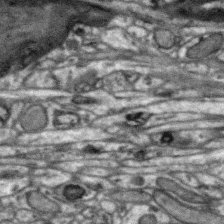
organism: Zebra finch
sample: Brain